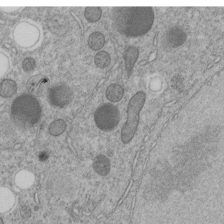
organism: C. elegans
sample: C. elegans embryo early stage